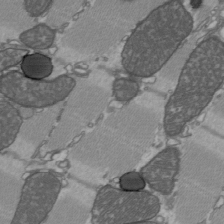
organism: C57BL Mouse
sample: Heart